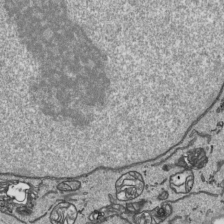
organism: Human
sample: Mitochondria in HCT116 cells